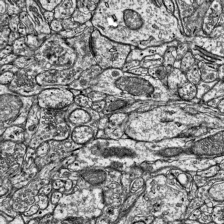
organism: Mouse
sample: Visual Cortex